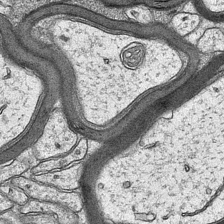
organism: Mouse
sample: CA1 Hippocampus